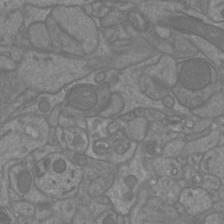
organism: Mouse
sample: Cortical neurons